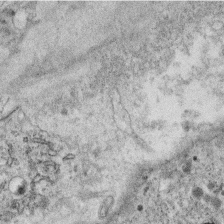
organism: C. elegans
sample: C. elegans oocyte; sperm cells